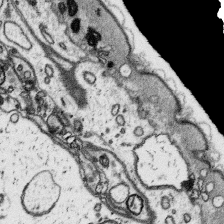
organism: Platynereis dumerilii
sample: Parapodia